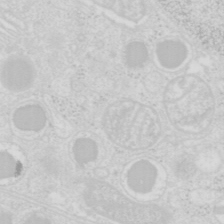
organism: Mouse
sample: Pancreas